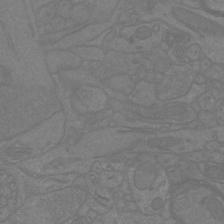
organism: Mouse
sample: Cortical neurons